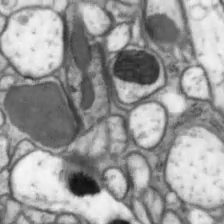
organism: Drosophila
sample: Optic lobe